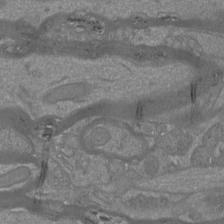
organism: Mouse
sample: Cortical neurons